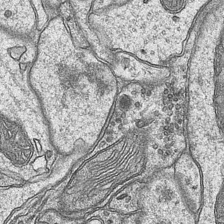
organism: Mouse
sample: CA1 Hippocampus